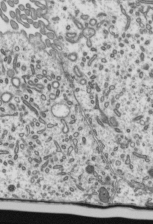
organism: Mouse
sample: Mouse epididymis efferent ductule cilia